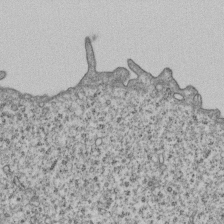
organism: Human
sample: MDA-MB-231 cells